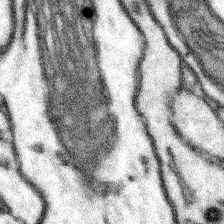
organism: Mouse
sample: Somatosensory cortex neuropil